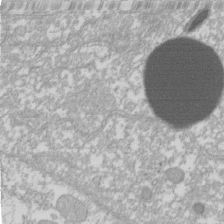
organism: Xenopus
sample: Cilia; centrioles in frog embryo cells